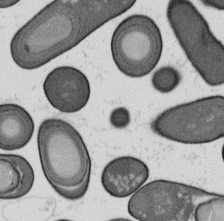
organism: B. subtilis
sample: Bacterial spore